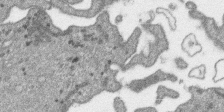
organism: Human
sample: Lung epithelial cells infected with SARS-CoV-2